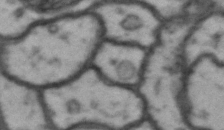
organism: Drosophila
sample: Brain